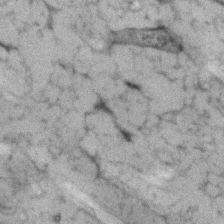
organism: Human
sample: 1205lu cells